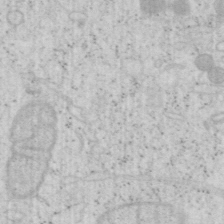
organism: Human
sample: HeLa cells